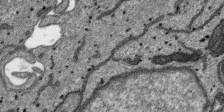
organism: Human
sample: Lung epithelial cells, uninfected (mock) control